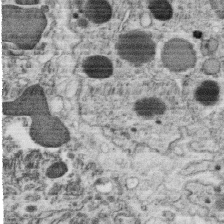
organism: C. elegans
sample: C. elegans oocyte; sperm cells